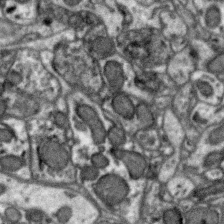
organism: Zebra finch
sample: Brain